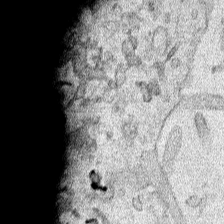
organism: Human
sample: Mitochondria in HCT116 cells